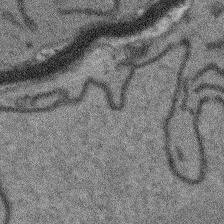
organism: Arabidopsis thaliana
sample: Root tip